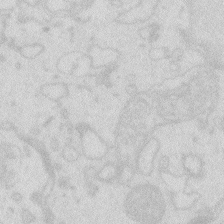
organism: Zebrafish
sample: Macrophage